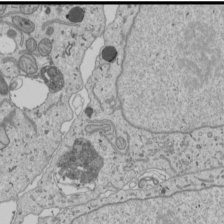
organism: Human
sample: Mitochondria in U2OS cells